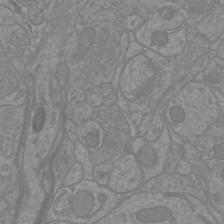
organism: Mouse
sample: Cortical neurons